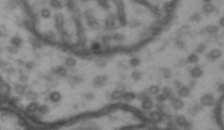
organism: Drosophila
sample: Brain